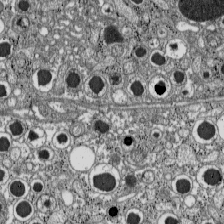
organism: C57BL Mouse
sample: Pancreatic islet